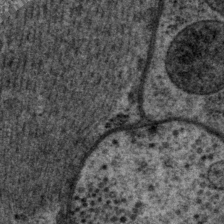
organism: P. pacificus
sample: Pharynx